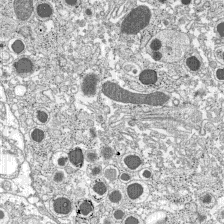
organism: C57BL Mouse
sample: Pancreatic islet